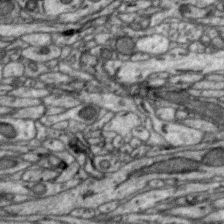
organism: Zebra finch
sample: Brain